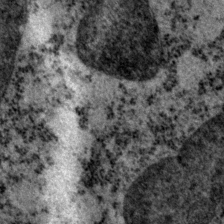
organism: P. pacificus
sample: Pharynx